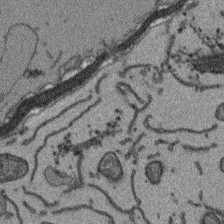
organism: Arabidopsis thaliana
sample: Root tip